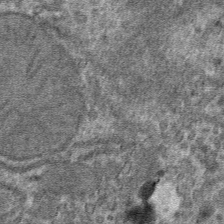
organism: Mouse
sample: Mouse hepatocytes